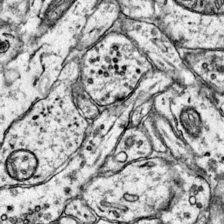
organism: Mouse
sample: Primary visual cortex